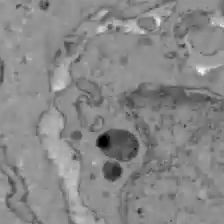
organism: C57BL Mouse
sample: Liver